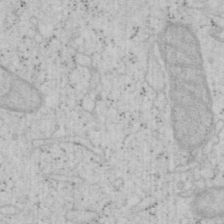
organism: Human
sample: HeLa cells